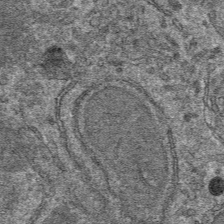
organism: Mouse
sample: Mouse hepatocytes